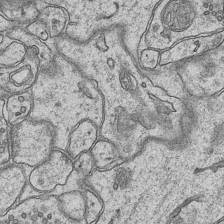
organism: Mouse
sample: CA1 Hippocampus